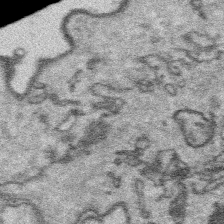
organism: Platynereis dumerilii